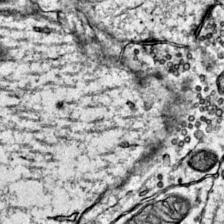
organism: Mouse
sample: Primary visual cortex